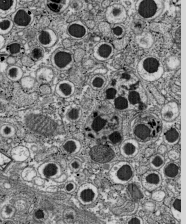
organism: C57BL Mouse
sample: Pancreatic islet